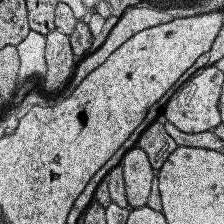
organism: Human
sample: Temporal Lobe